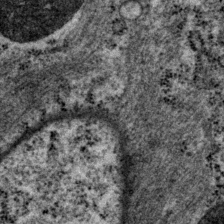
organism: P. pacificus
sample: Pharynx